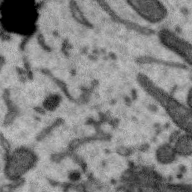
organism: Zebra finch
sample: Brain